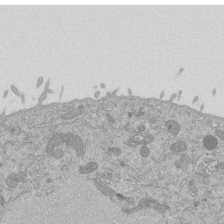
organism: Mouse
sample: ED-1 cell nuclei; centrioles